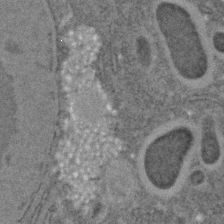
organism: C. elegans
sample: C. elegans embryo